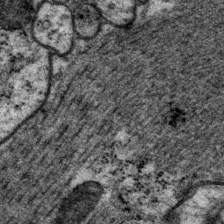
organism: P. pacificus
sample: Pharynx